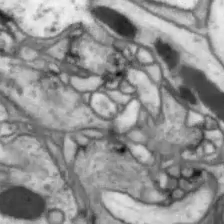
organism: Drosophila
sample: Optic lobe